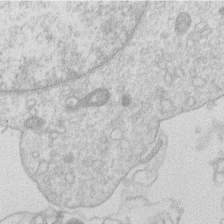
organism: Human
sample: Macrophage cells